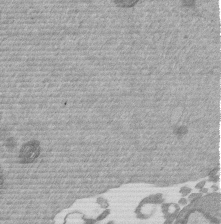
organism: Mouse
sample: Dividing mouse embryo 1 cell stage